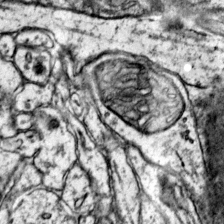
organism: Mouse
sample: Primary visual cortex